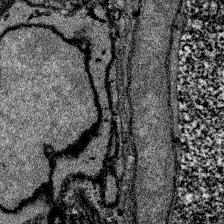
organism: Zebrafish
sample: Larval olfactory bulb